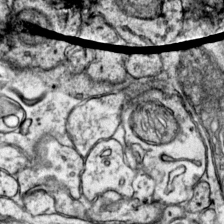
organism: Mouse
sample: Primary visual cortex